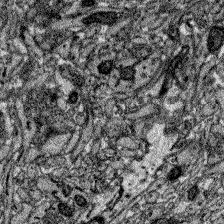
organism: Zebrafish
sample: Larval olfactory bulb